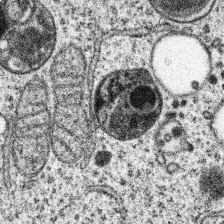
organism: Human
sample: HeLa cells